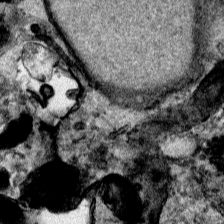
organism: Human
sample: Mitochondria in HCT116 cells